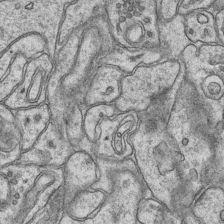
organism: Mouse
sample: CA1 Hippocampus